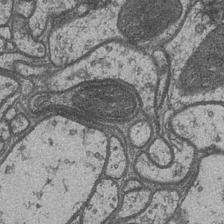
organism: Drosophila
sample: Optic medulla